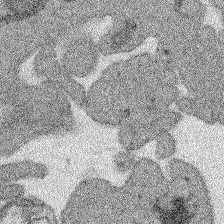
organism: Human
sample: HeLa cells